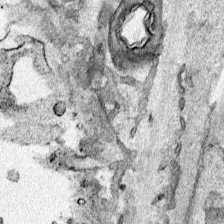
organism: Human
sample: Mitochondria in HCT116 cells